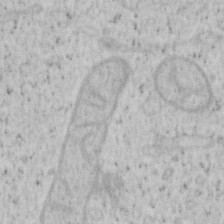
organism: Human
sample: HeLa cells